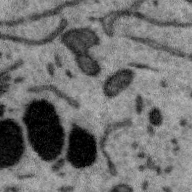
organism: Zebra finch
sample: Brain